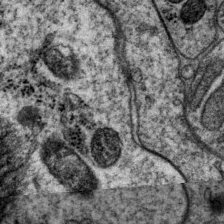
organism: P. pacificus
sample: Pharynx